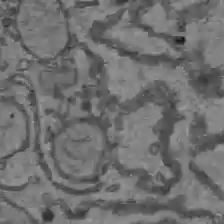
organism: C57BL Mouse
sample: Liver